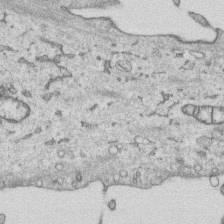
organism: Human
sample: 1205lu cells